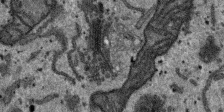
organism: Human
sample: Lung epithelial cells, uninfected (mock) control